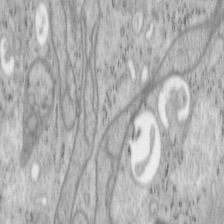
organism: Human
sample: HeLa cells